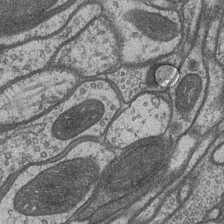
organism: Drosophila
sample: Optic medulla